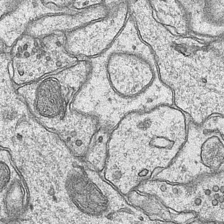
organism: Mouse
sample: CA1 Hippocampus